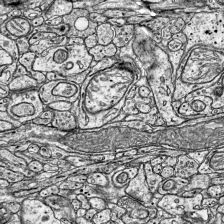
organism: Mouse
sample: Visual Cortex